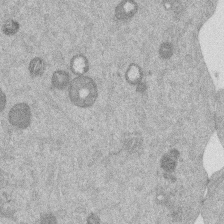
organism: Mouse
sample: Dividing mouse embryo 1 cell stage